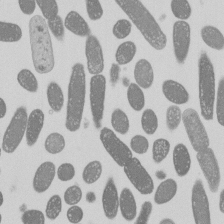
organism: E. coli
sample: Bacterial nucleoid